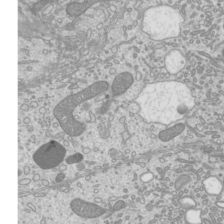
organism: Mouse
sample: Cilia; mouse epididymis